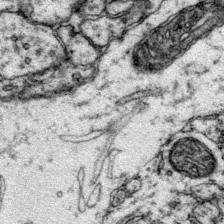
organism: Mouse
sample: Primary visual cortex